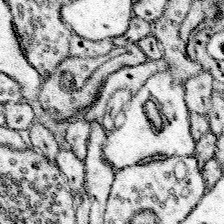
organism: Mouse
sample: Somatosensory cortex neuropil